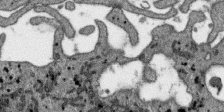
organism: Human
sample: Lung epithelial cells, uninfected (mock) control